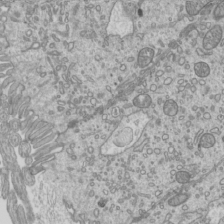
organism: Mouse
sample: Cilia; mouse epididymis